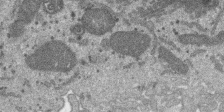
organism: Human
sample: Lung epithelial cells infected with SARS-CoV-2